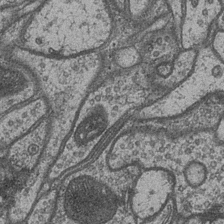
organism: Drosophila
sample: Optic medulla